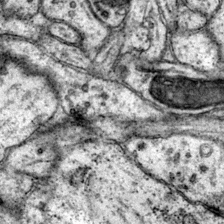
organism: Mouse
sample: Primary visual cortex